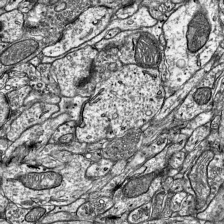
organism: Mouse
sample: Visual Cortex